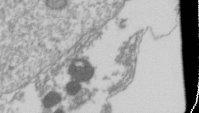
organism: Drosophila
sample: Cell division; meiosis; drosophila spermatocytes